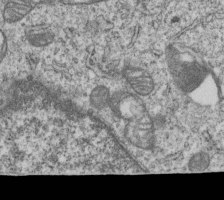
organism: Human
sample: MDA-MB-231 cells